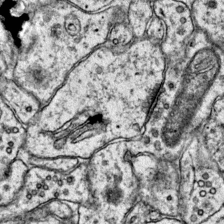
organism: Mouse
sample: Primary visual cortex